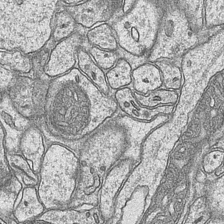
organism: Mouse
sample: CA1 Hippocampus